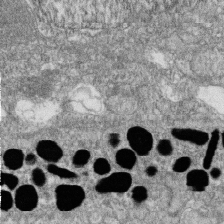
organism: Zebrafish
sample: Cilia; retinal pigment epithelium